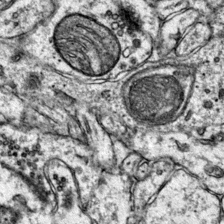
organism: Mouse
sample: Primary visual cortex